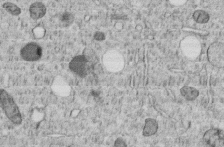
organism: C. elegans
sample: C. elegans embryo early stage